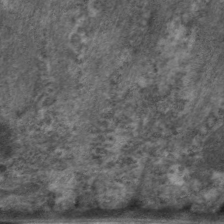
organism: C. elegans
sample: Pharynx